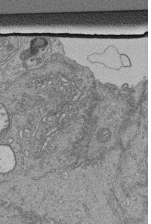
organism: Human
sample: Retinal organoid Rod and Cone cells